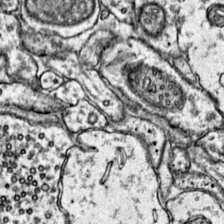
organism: Mouse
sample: Primary visual cortex